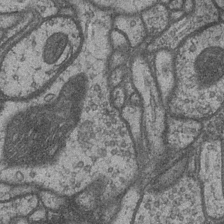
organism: Drosophila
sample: Optic medulla